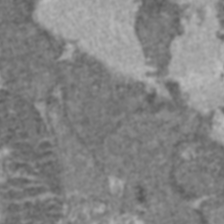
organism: C57BL Mouse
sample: Heart